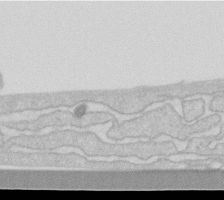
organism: Human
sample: Fibroblast cells